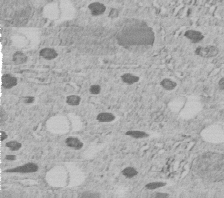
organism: C. elegans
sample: C. elegans embryo early stage